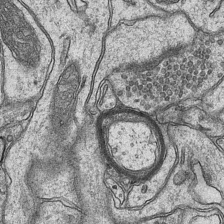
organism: Mouse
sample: CA1 Hippocampus